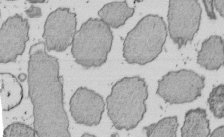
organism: E. coli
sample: Bacterial nucleoid